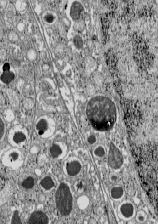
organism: C57BL Mouse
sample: Pancreatic islet